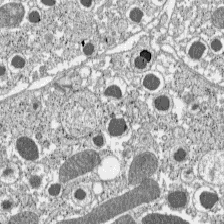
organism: C57BL Mouse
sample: Pancreatic islet